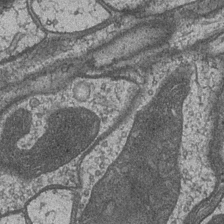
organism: Drosophila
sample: Optic medulla